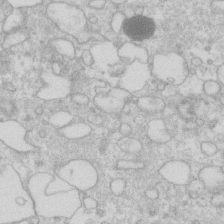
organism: Human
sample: Fibroblast cells